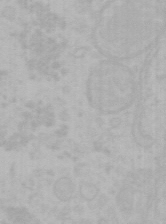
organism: Mouse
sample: Choroid plexus